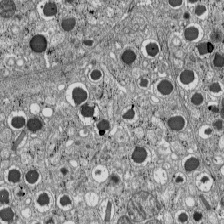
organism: C57BL Mouse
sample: Pancreatic islet